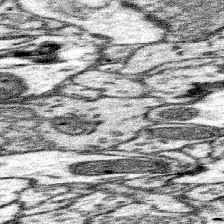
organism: Mouse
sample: Somatosensory cortex neuropil